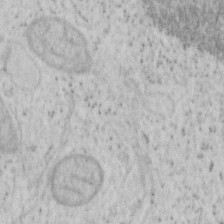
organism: Human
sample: HeLa cells